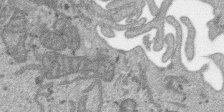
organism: Human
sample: Lung epithelial cells infected with SARS-CoV-2